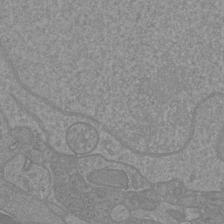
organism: Mouse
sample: Cortical neurons